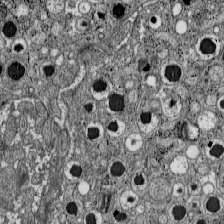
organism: C57BL Mouse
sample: Pancreatic islet